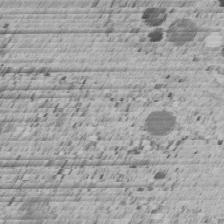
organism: C. elegans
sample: C. elegans embryo early stage